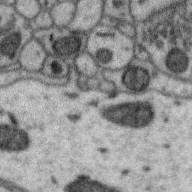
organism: Zebra finch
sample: Brain